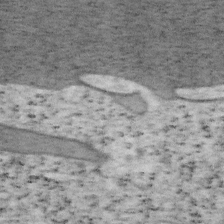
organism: Mouse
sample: OT-I killer T cells with ID8 ovarian cancer cells